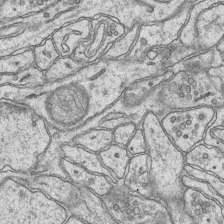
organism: Mouse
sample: CA1 Hippocampus